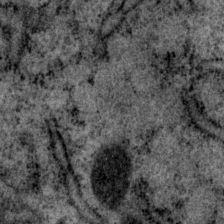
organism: P. pacificus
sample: Pharynx